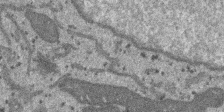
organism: Human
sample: Lung epithelial cells infected with SARS-CoV-2